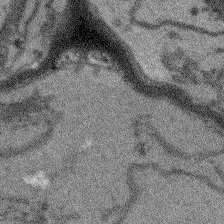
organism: Arabidopsis thaliana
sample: Root tip